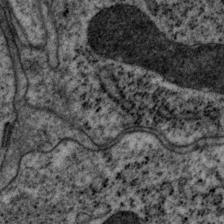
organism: P. pacificus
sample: Pharynx